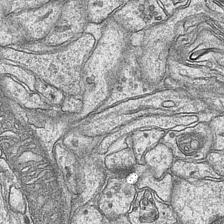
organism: Mouse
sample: CA1 Hippocampus